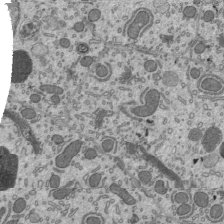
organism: Mouse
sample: Mouse epididymis efferent ductule cilia